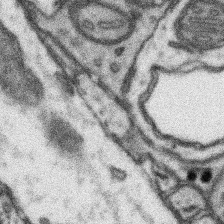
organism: Mouse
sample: Somatosensory cortex neuropil